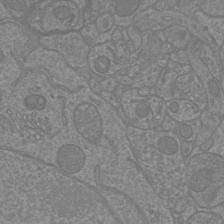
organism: Mouse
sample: Cortical neurons